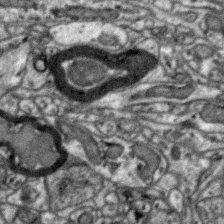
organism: Zebra finch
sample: Brain